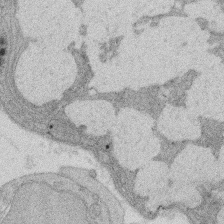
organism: Rat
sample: Salivary granule